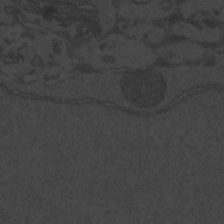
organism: Zebrafish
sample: Macrophage infected with Toxoplasma gondii